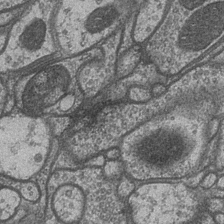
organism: Drosophila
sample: Optic medulla